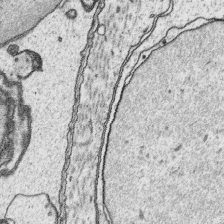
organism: Platynereis dumerilii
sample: Parapodia